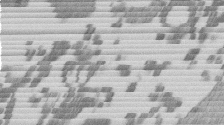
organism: Mouse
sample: Dividing mouse embryo 1 cell stage